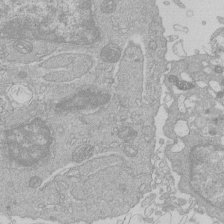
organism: Human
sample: Macrophage cells